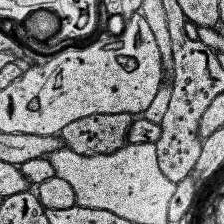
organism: Human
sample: Temporal Lobe